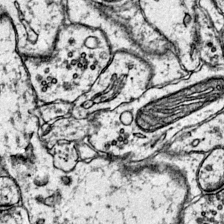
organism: Mouse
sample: Primary visual cortex